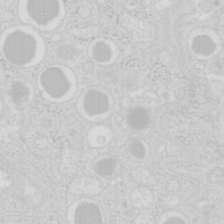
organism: Mouse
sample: Pancreas